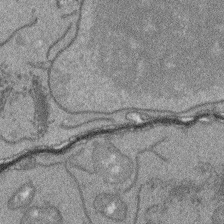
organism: Arabidopsis thaliana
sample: Root tip